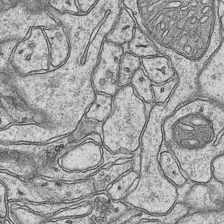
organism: Mouse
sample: CA1 Hippocampus